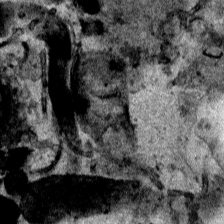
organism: Human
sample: Mitochondria in HCT116 cells